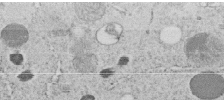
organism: C. elegans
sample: C. elegans embryo early stage